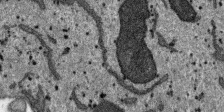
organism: Human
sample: Lung epithelial cells, uninfected (mock) control